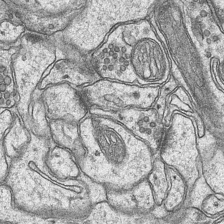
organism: Mouse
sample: CA1 Hippocampus